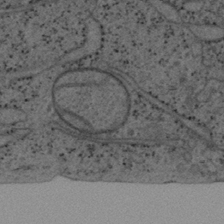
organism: Human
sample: HeLa cells